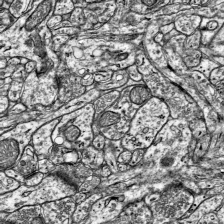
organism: Mouse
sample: Visual Cortex